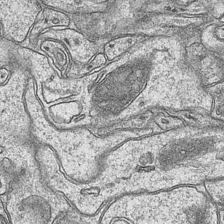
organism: Mouse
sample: CA1 Hippocampus